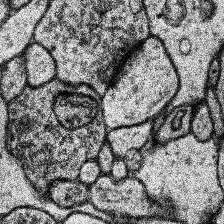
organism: Human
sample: Temporal Lobe